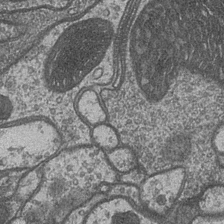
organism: Drosophila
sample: Optic medulla